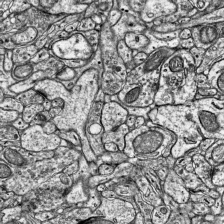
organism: Mouse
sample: Visual Cortex